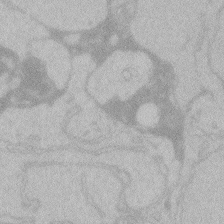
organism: Zebrafish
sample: Macrophage infected with Toxoplasma gondii